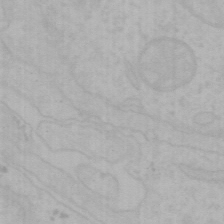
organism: Mouse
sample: Choroid plexus